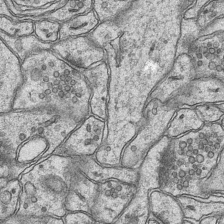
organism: Mouse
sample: CA1 Hippocampus